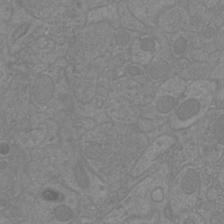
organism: Mouse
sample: Cortical neurons